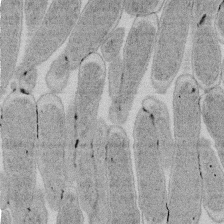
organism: E. coli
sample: Bacterial nucleoid